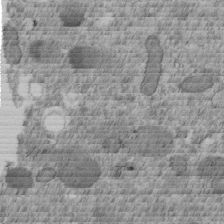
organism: C. elegans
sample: C. elegans embryo early stage